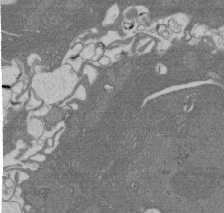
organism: Rat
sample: Salivary granule